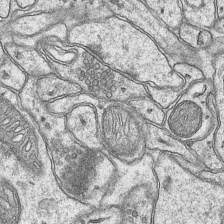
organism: Mouse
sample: CA1 Hippocampus